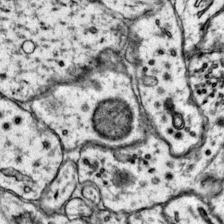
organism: Mouse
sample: Primary visual cortex